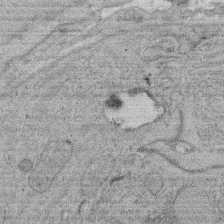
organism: Rat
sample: Salivary granule